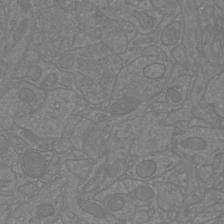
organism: Mouse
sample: Cortical neurons